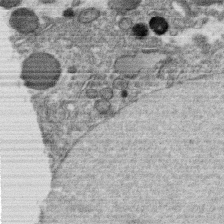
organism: C. elegans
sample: C. elegans oocyte; sperm cells